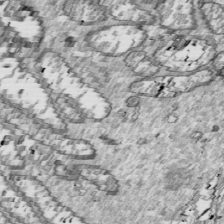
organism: Drosophila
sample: Cell division; meiosis; drosophila spermatocytes